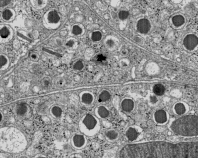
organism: C57BL Mouse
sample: Pancreatic islet